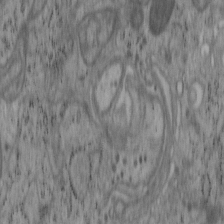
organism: Human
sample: HeLa cells